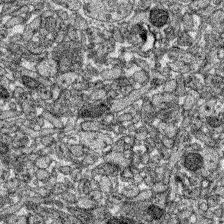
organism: Zebrafish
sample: Larval olfactory bulb